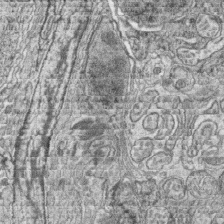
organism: Zebrafish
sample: synaptic ribbons in rod cells and cone cells